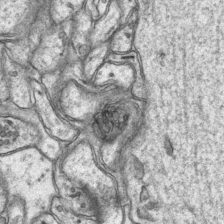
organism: Mouse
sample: CA1 Hippocampus